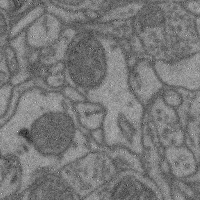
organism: Mouse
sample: Cerebral cortex